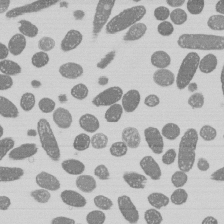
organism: E. coli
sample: Bacterial nucleoid